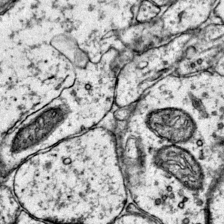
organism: Mouse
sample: Primary visual cortex